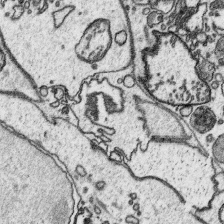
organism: Platynereis dumerilii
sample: Parapodia